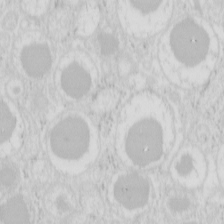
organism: Mouse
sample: Pancreas